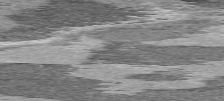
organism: C57BL Mouse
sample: Heart